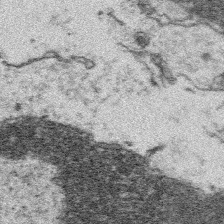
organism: Platynereis dumerilii